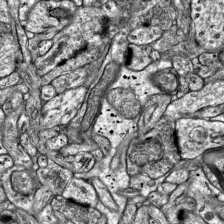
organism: Mouse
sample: Visual Cortex